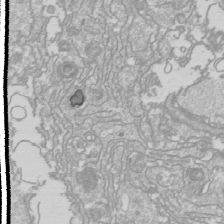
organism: Drosophila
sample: Cell division; meiosis; drosophila spermatocytes